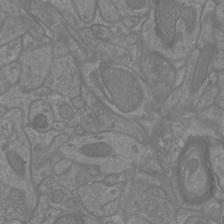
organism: Mouse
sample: Cortical neurons